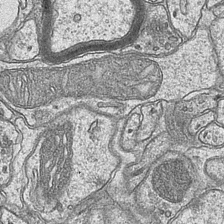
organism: Mouse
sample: CA1 Hippocampus